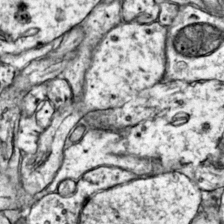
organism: Mouse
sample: Primary visual cortex